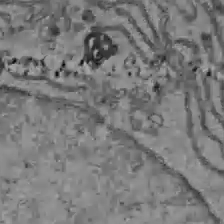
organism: C57BL Mouse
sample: Liver